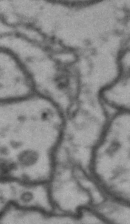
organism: Drosophila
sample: Brain